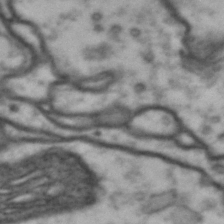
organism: Drosophila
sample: Brain